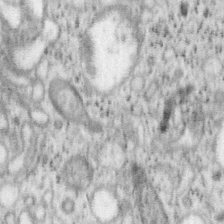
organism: Mouse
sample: OT-I killer T cells with ID8 ovarian cancer cells